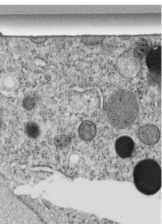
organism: C. elegans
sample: C. elegans embryo early stage